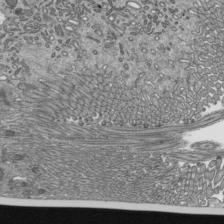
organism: Mouse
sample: Mouse epididymis efferent ductule cilia